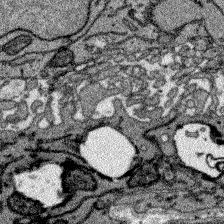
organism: Zebrafish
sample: Larval olfactory bulb